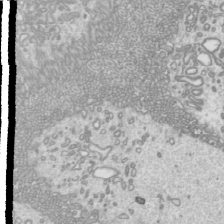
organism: Mouse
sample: Cilia; mouse epididymis